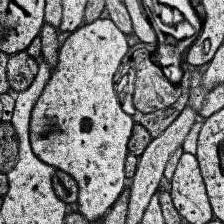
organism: Human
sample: Temporal Lobe